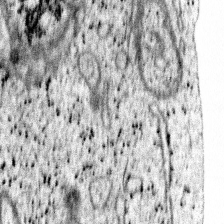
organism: Human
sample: HeLa cells